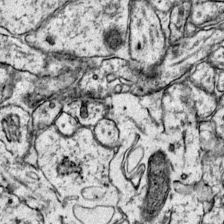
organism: Mouse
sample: Primary visual cortex